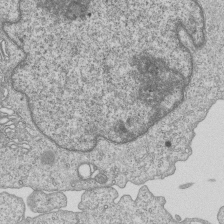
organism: Human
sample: MDA-MB-231 cells